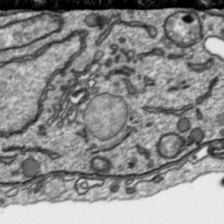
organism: Toxoplasma gondii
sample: Parasites in a vacuole inside a host cell